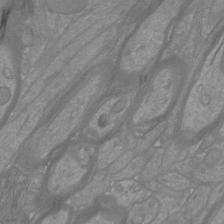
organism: Mouse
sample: Cortical neurons